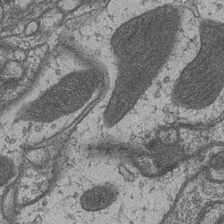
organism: Drosophila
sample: Optic medulla